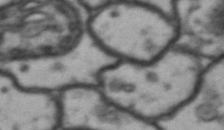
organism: Drosophila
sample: Brain